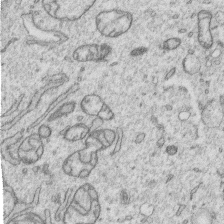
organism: Human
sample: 1205lu cells